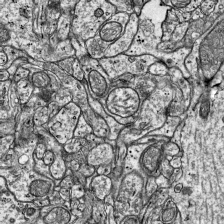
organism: Mouse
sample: Visual Cortex